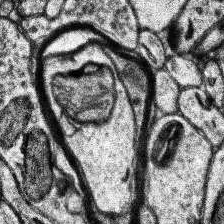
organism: Human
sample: Temporal Lobe